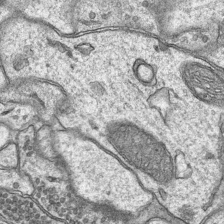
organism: Mouse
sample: CA1 Hippocampus